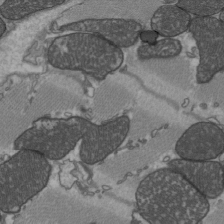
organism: C57BL Mouse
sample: Heart